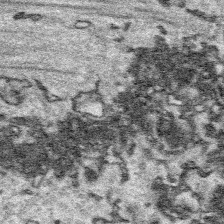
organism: Platynereis dumerilii